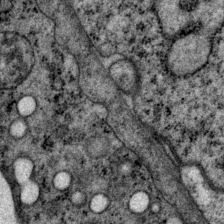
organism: P. pacificus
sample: Pharynx